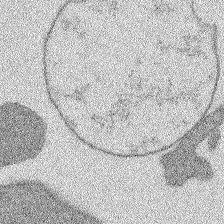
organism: Human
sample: HeLa cells